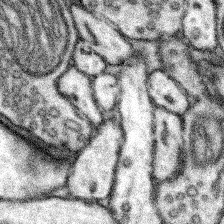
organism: Mouse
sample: Somatosensory cortex neuropil